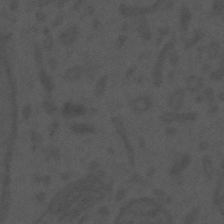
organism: Mouse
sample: Suprachiasmatic nucleus